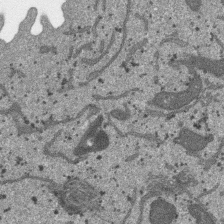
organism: Human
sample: Lung epithelial cells infected with SARS-CoV-2